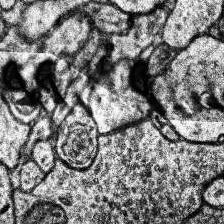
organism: Human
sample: Temporal Lobe